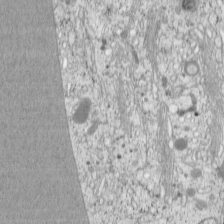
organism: African green monkey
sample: COS-7 cells